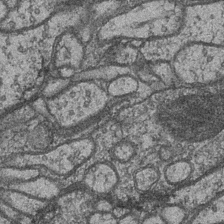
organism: Drosophila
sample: Optic medulla